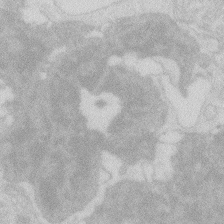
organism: Zebrafish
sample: Macrophage